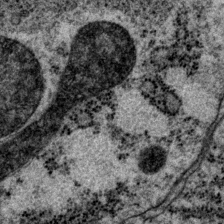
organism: P. pacificus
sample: Pharynx